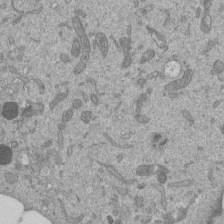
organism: Mouse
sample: ED-1 cell nuclei; centrioles